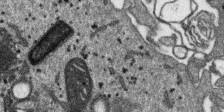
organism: Human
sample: Lung epithelial cells infected with SARS-CoV-2